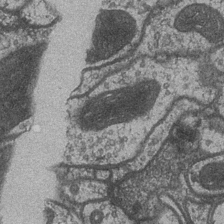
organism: Drosophila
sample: Optic medulla